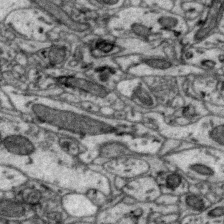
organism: Zebra finch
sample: Brain